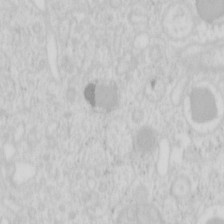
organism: Mouse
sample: Pancreas